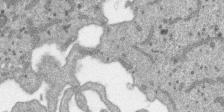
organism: Human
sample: Lung epithelial cells infected with SARS-CoV-2